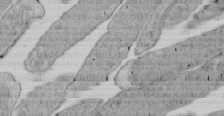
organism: E. coli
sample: Bacterial nucleoid